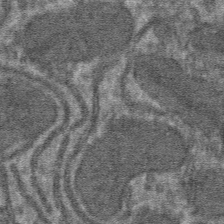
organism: Mouse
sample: Mouse hepatocytes